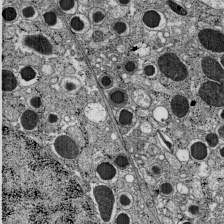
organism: C57BL Mouse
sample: Pancreatic islet